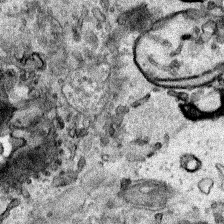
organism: Human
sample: Mitochondria in HCT116 cells